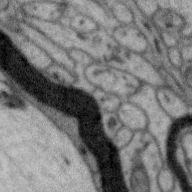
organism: Zebra finch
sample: Brain